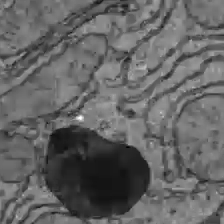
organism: C57BL Mouse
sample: Liver